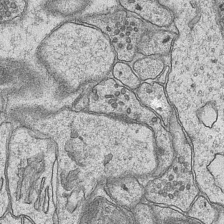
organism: Mouse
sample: CA1 Hippocampus